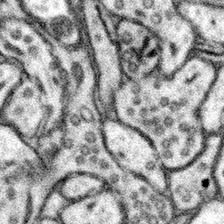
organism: Mouse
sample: Somatosensory cortex neuropil